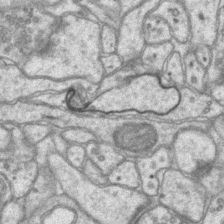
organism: Mouse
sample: CA1 Hippocampus